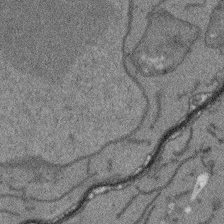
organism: Arabidopsis thaliana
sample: Root tip